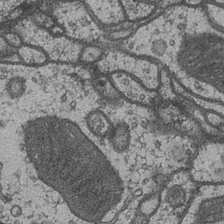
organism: Drosophila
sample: Optic medulla